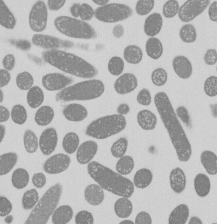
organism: E. coli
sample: Bacterial nucleoid